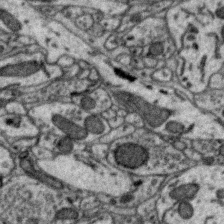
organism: Zebra finch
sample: Brain